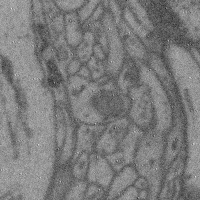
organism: Mouse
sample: Cerebral cortex